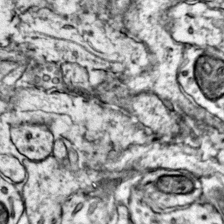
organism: Mouse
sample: Primary visual cortex